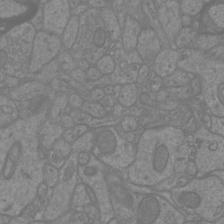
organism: Mouse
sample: Cortical neurons